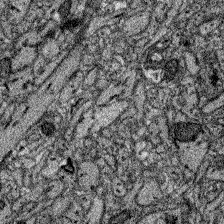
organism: Zebrafish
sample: Larval olfactory bulb